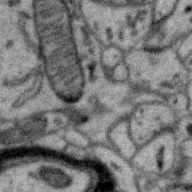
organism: Zebra finch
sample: Brain